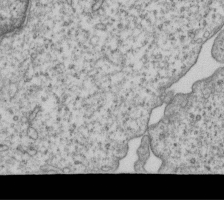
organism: Human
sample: MDA-MB-231 cells